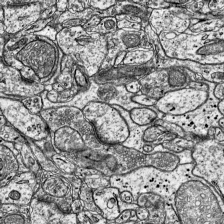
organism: Mouse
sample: Visual Cortex